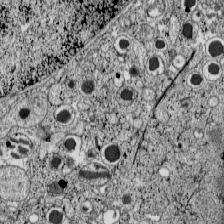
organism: C57BL Mouse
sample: Pancreatic islet